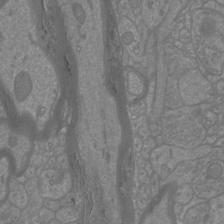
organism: Mouse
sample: Cortical neurons